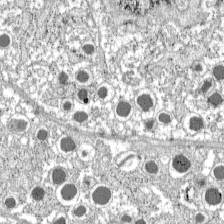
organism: C57BL Mouse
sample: Pancreatic islet